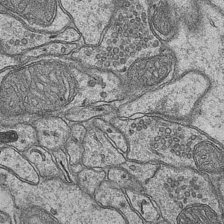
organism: Mouse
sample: CA1 Hippocampus